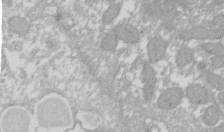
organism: Xenopus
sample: Cilia; centrioles in frog embryo cells